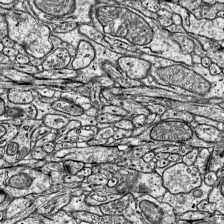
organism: Mouse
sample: Visual Cortex